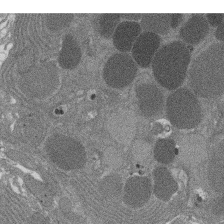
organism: Rat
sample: Salivary granule